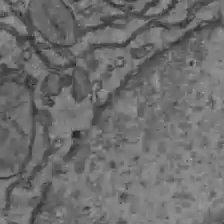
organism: C57BL Mouse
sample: Liver